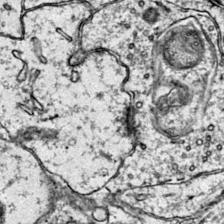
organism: Mouse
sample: Primary visual cortex